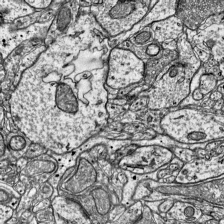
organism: Mouse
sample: Visual Cortex